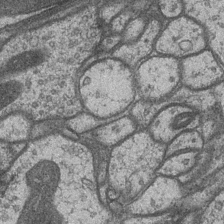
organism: Drosophila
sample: Optic medulla